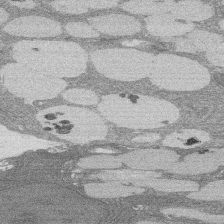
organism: Rat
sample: Salivary granule